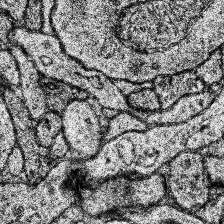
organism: Human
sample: Temporal Lobe